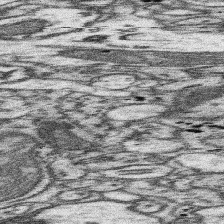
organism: Mouse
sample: Somatosensory cortex neuropil